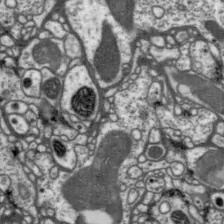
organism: Drosophila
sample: Protocerebral bridge